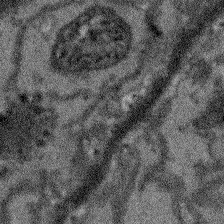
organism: Arabidopsis thaliana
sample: Root tip